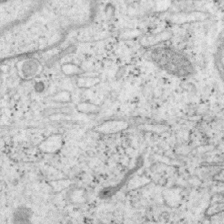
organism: Mouse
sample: OT-I killer T cells with ID8 ovarian cancer cells